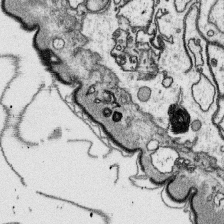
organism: Platynereis dumerilii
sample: Parapodia